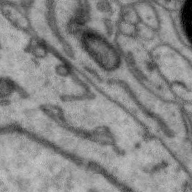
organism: Zebra finch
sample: Brain